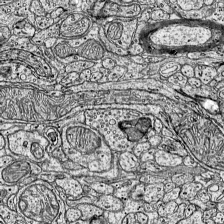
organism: Mouse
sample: Visual Cortex